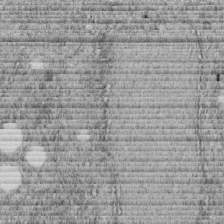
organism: C. elegans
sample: C. elegans embryo early stage